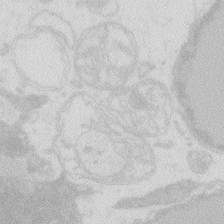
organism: Zebrafish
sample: Macrophage